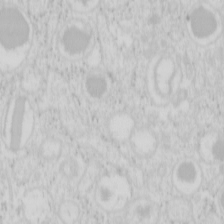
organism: Mouse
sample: Pancreas